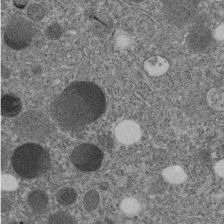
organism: C. elegans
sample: C. elegans embryo early stage